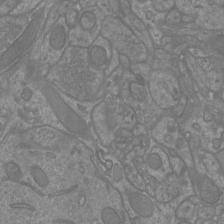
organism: Mouse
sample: Cortical neurons